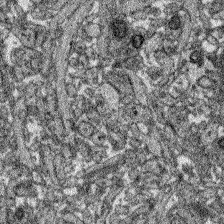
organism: Zebrafish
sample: Larval olfactory bulb